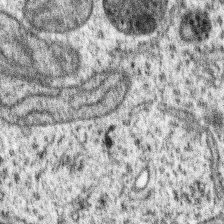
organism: Human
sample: HeLa cells